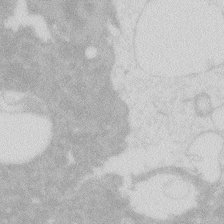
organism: Zebrafish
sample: Macrophage